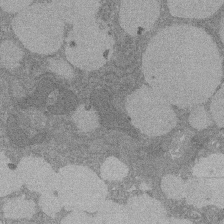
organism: Rat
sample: Salivary granule